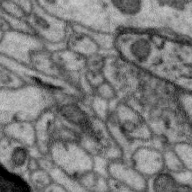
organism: Zebra finch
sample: Brain